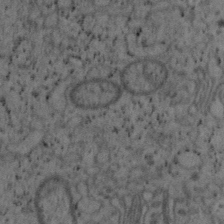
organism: Human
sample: HeLa cells